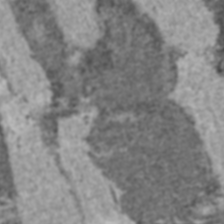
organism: C57BL Mouse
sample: Heart